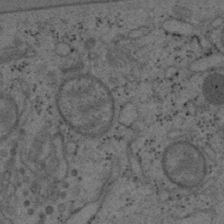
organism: Human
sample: HeLa cells